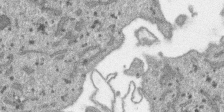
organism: Human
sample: Lung epithelial cells infected with SARS-CoV-2